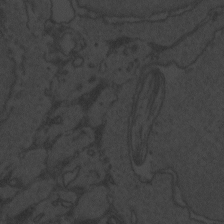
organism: Zebrafish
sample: Macrophage infected with Toxoplasma gondii